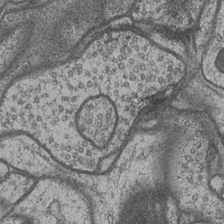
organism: Drosophila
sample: Optic medulla